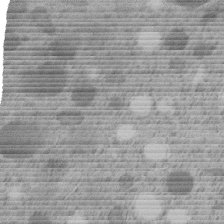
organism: C. elegans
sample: C. elegans embryo early stage